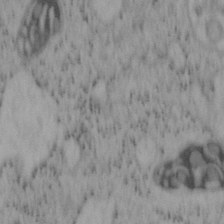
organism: Mouse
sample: OT-I killer T cells with ID8 ovarian cancer cells